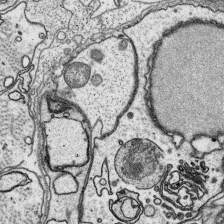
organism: Platynereis dumerilii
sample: Parapodia